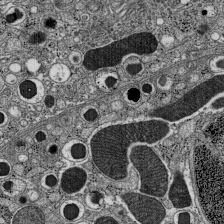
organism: C57BL Mouse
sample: Pancreatic islet